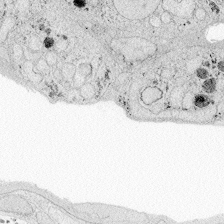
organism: Zebrafish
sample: Whole-Brain